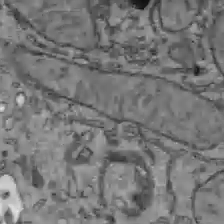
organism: C57BL Mouse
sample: Liver